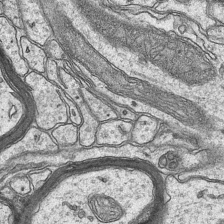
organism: Mouse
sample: CA1 Hippocampus